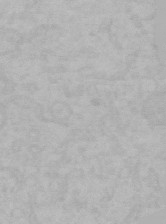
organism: Mouse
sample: Choroid plexus